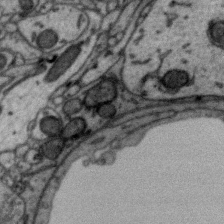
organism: Zebra finch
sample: Brain